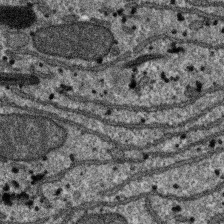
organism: Human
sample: Lung epithelial cells infected with SARS-CoV-2